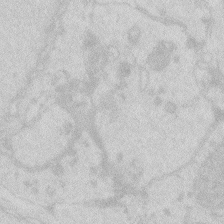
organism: Zebrafish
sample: Macrophage